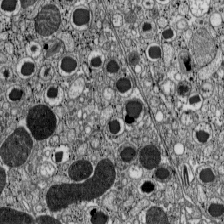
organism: C57BL Mouse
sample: Pancreatic islet